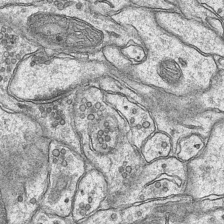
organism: Mouse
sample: CA1 Hippocampus